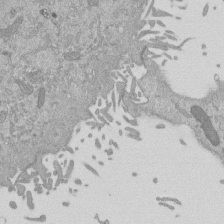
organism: Mouse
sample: ED-1 cell nuclei; centrioles